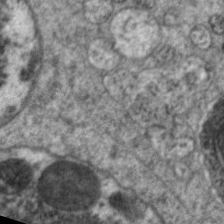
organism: C. elegans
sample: Pharynx